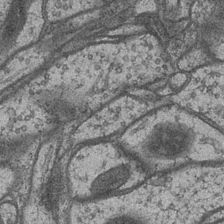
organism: Drosophila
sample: Optic medulla